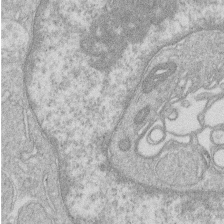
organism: Human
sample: Macrophage cells